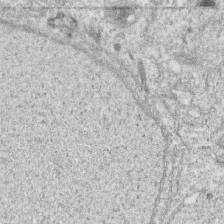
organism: Human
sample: HeLa cell HIV synapse